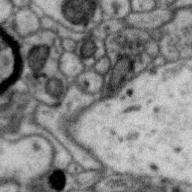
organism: Zebra finch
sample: Brain